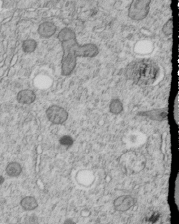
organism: C. elegans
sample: C. elegans embryo early stage